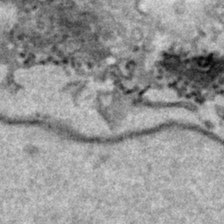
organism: Human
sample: Mitochondria in HCT116 cells